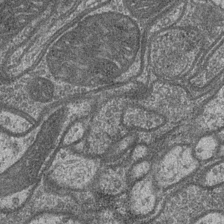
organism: Drosophila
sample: Optic medulla